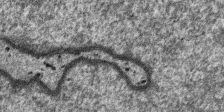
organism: Human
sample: Lung epithelial cells infected with SARS-CoV-2